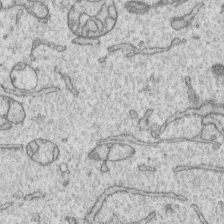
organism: Human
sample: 1205lu cells